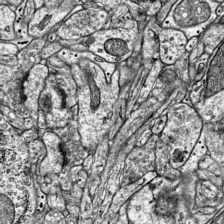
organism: Mouse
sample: Visual Cortex